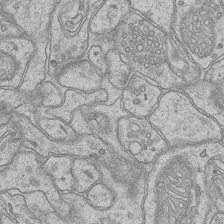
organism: Mouse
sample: CA1 Hippocampus